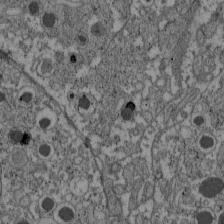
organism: C57BL Mouse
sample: Pancreatic islet